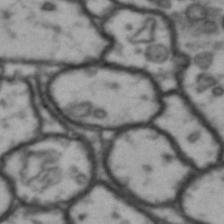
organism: Drosophila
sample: Brain